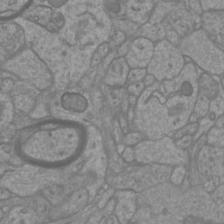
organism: Mouse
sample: Cortical neurons